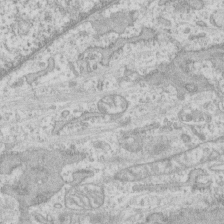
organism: Human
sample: CRL-1474